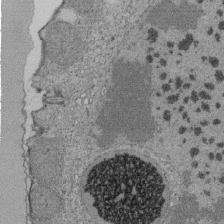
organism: Tetrahymena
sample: Cilia in tetrahymena